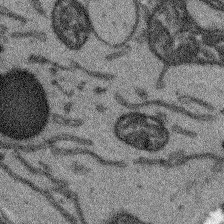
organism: Arabidopsis thaliana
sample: Root tip